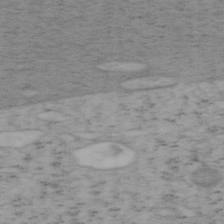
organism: Mouse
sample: OT-I killer T cells with ID8 ovarian cancer cells